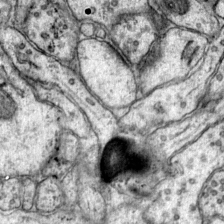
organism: Mouse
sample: Primary visual cortex